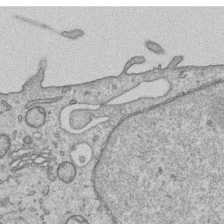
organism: Human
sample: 1205lu cells